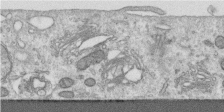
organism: Human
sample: Centriole in RPE cells